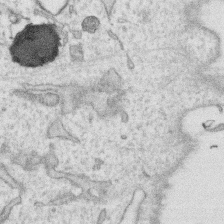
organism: Human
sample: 1205lu cells